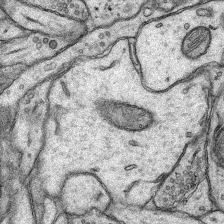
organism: Rat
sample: Hippocampus